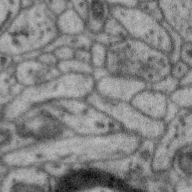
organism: Zebra finch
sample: Brain